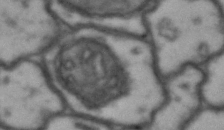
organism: Drosophila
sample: Brain